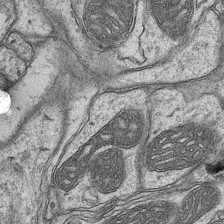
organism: Mouse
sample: CA1 Hippocampus